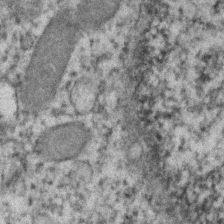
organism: Human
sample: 1205lu cells